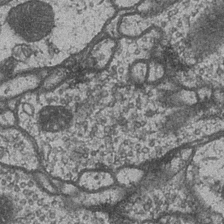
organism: Drosophila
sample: Optic medulla